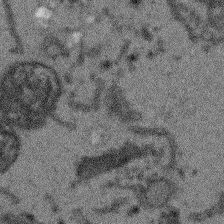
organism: Arabidopsis thaliana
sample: Root tip